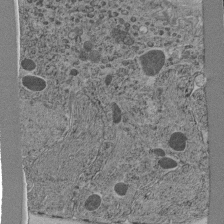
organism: C. elegans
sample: C. elegans pharynx